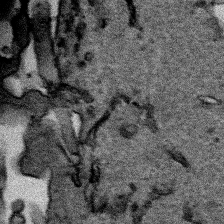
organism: Human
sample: Mitochondria in HCT116 cells